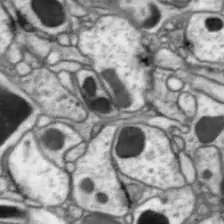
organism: Drosophila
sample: Optic lobe